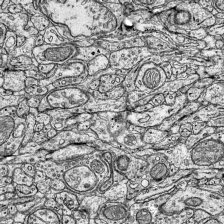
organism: Mouse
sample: Visual Cortex